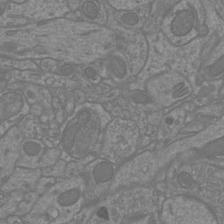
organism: Mouse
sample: Cortical neurons